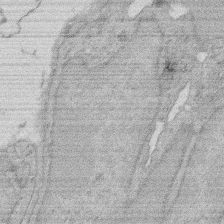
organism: Rat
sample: Salivary granule